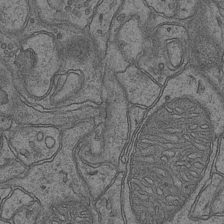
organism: Mouse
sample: CA1 Hippocampus